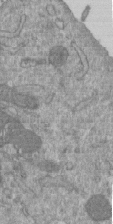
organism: Mouse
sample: ED-1 cell nuclei; centrioles